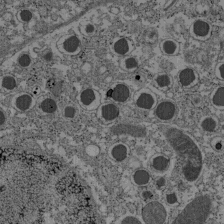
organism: C57BL Mouse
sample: Pancreatic islet